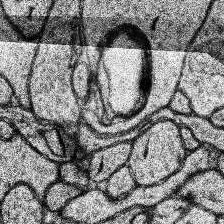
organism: Human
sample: Temporal Lobe